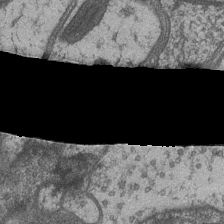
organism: Drosophila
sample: Optic medulla